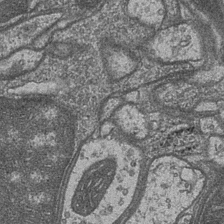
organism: Drosophila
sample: Optic medulla